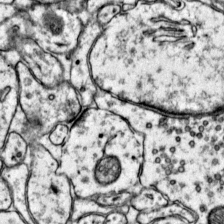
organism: Mouse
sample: Primary visual cortex